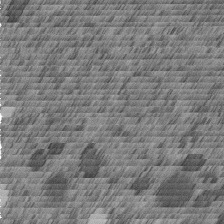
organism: C. elegans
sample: C. elegans embryo early stage